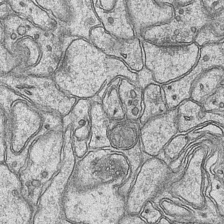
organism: Mouse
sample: CA1 Hippocampus